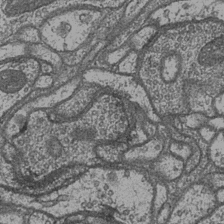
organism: Drosophila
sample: Optic medulla